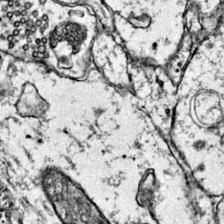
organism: Mouse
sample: Primary visual cortex